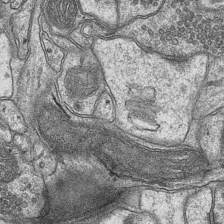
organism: Mouse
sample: CA1 Hippocampus